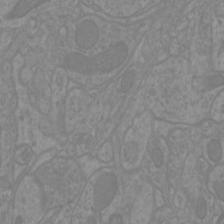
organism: Mouse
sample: Cortical neurons